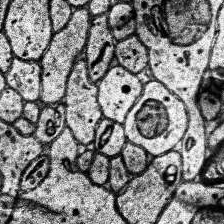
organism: Human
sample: Temporal Lobe